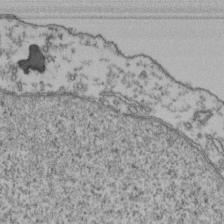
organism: Human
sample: Activated Jurkat CD4+ T cells